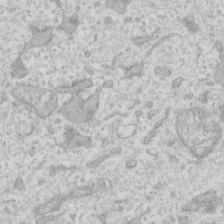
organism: Human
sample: Fibroblast cells